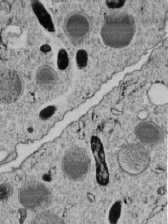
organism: C. elegans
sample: C. elegans embryo early stage